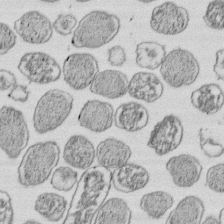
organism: E. coli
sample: Bacterial nucleoid